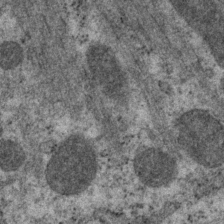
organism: P. pacificus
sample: Pharynx